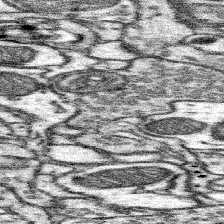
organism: Mouse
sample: Somatosensory cortex neuropil